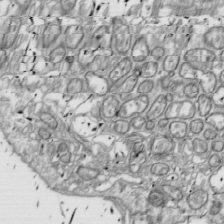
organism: Drosophila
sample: Cell division; meiosis; drosophila spermatocytes